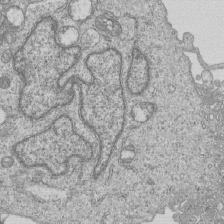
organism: Human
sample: MDA-MB-231 cells